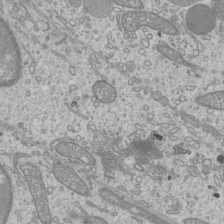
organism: Mouse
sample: Cilia; mouse epididymis